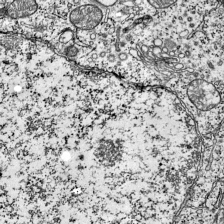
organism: Mouse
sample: Visual Cortex